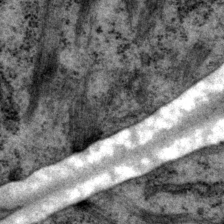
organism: P. pacificus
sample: Pharynx